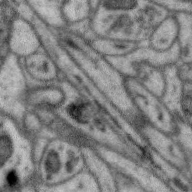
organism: Zebra finch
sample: Brain